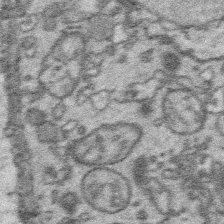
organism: Platynereis dumerilii